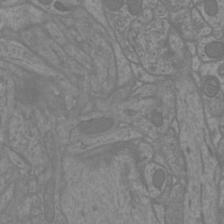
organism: Mouse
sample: Cortical neurons